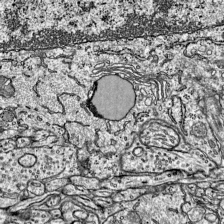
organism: Mouse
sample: Visual Cortex